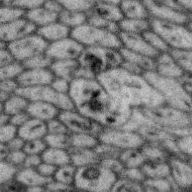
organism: Zebra finch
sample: Brain